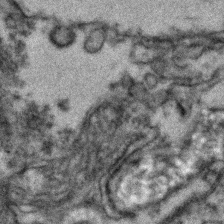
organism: Zebrafish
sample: Zebrafish embryo